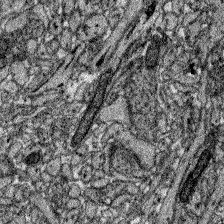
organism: Zebrafish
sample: Larval olfactory bulb